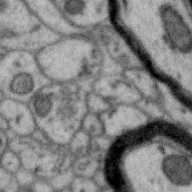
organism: Zebra finch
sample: Brain